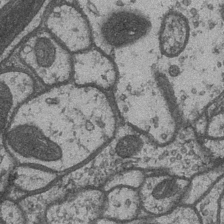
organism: Drosophila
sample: Optic medulla